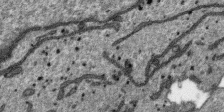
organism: Human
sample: Lung epithelial cells, uninfected (mock) control